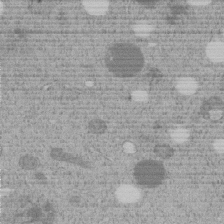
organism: C. elegans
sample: C. elegans embryo early stage